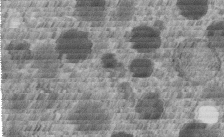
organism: C. elegans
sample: C. elegans embryo early stage